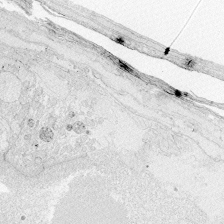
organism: Zebrafish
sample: Whole-Brain